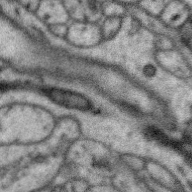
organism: Zebra finch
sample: Brain